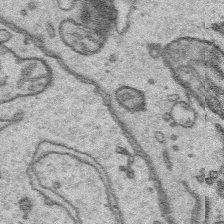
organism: Platynereis dumerilii